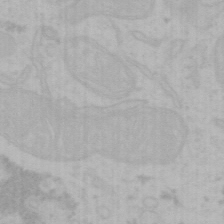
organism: Mouse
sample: Choroid plexus